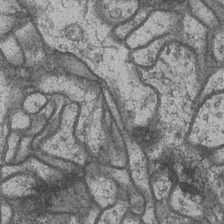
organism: Drosophila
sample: Optic medulla